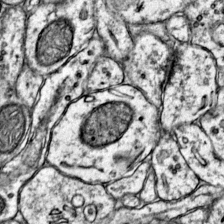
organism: Mouse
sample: Primary visual cortex